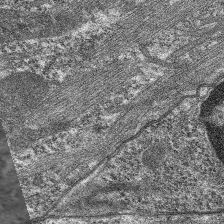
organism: C. elegans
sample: Pharynx